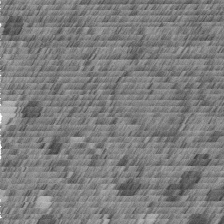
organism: C. elegans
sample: C. elegans embryo early stage